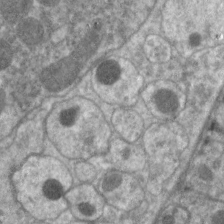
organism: C. elegans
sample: Pharynx